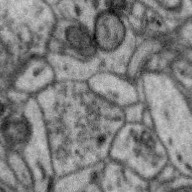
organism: Zebra finch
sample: Brain